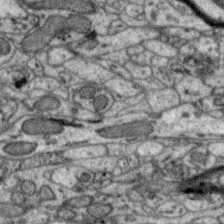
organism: Zebra finch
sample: Brain